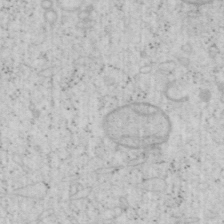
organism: Human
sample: HeLa cells